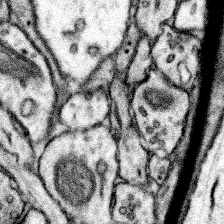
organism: Mouse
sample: Somatosensory cortex neuropil